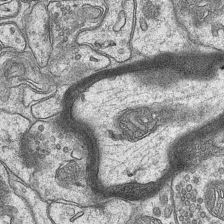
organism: Mouse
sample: CA1 Hippocampus